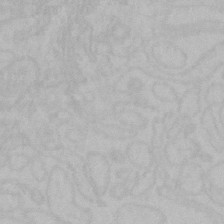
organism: Mouse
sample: Choroid plexus